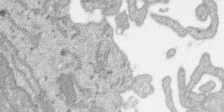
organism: Human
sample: Lung epithelial cells infected with SARS-CoV-2